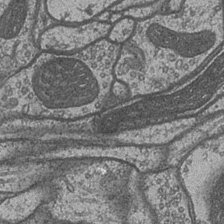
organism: Drosophila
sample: Optic medulla